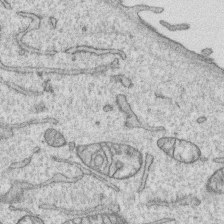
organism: Human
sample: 1205lu cells